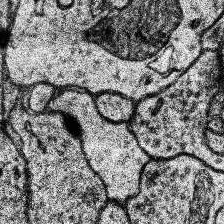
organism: Human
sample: Temporal Lobe